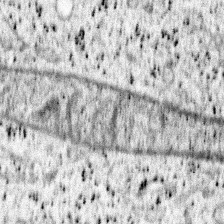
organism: Human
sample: HeLa cells